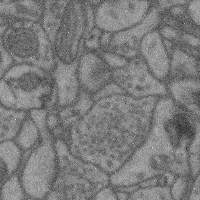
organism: Mouse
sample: Cerebral cortex